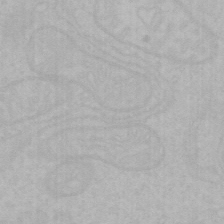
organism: Mouse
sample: Choroid plexus